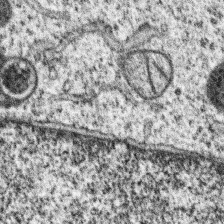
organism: Human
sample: HeLa cells